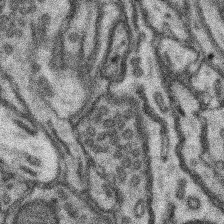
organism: Mouse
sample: Somatosensory cortex neuropil